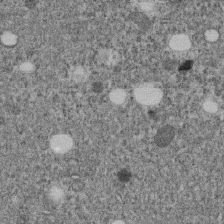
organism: C. elegans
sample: C. elegans embryo early stage